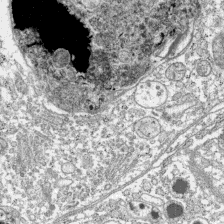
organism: C57BL Mouse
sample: Pancreatic islet